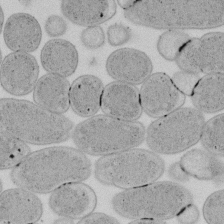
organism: E. coli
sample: Bacterial nucleoid